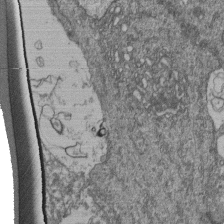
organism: Human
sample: Retinal organoid Rod and Cone cells